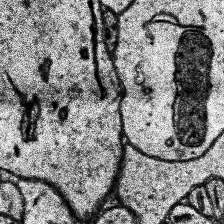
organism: Human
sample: Temporal Lobe